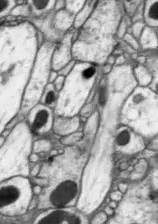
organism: Drosophila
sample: Optic lobe